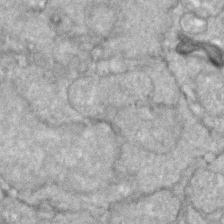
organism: Zebrafish